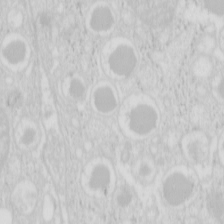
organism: Mouse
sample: Pancreas